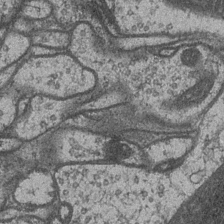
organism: Drosophila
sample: Optic medulla